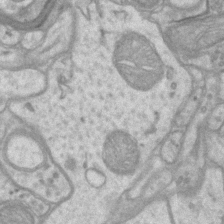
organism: Mouse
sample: CA1 Hippocampus